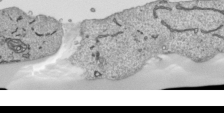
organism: Human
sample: Mitochondria in HCT116 cells